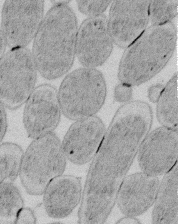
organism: E. coli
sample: Bacterial nucleoid